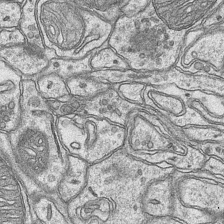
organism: Mouse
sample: CA1 Hippocampus